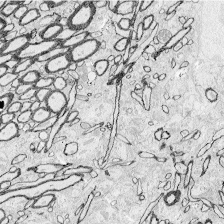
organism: Zebrafish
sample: Whole-Brain